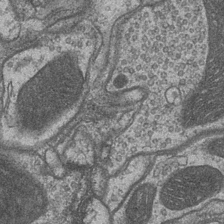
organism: Drosophila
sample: Optic medulla